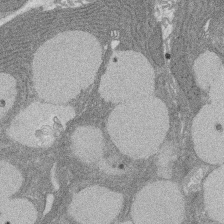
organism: Rat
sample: Salivary granule